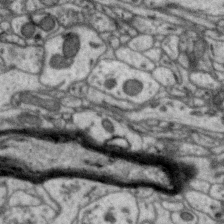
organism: Zebra finch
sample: Brain